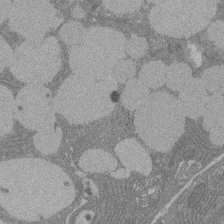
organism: Rat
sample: Salivary granule